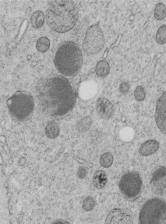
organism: C. elegans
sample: C. elegans embryo early stage